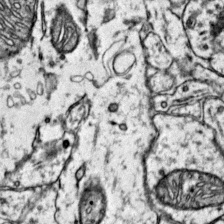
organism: Mouse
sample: Primary visual cortex